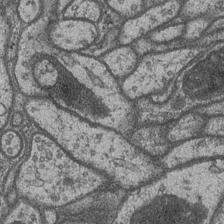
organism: Drosophila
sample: Optic medulla